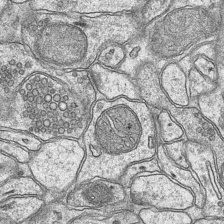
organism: Mouse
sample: CA1 Hippocampus